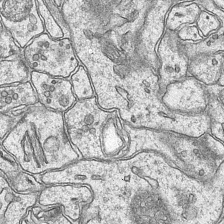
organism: Mouse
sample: CA1 Hippocampus